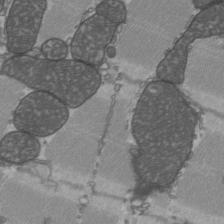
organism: C57BL Mouse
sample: Heart